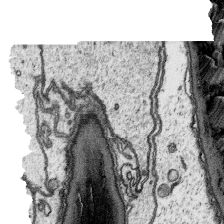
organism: Platynereis dumerilii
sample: Parapodia